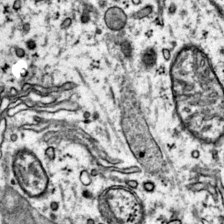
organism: Mouse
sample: Primary visual cortex